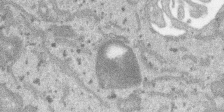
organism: Human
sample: Lung epithelial cells infected with SARS-CoV-2